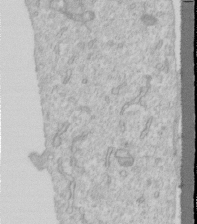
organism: Human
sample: Centriole in RPE cells